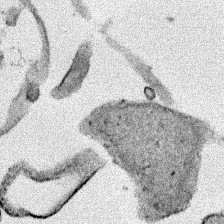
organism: Human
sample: Mitochondria in HCT116 cells